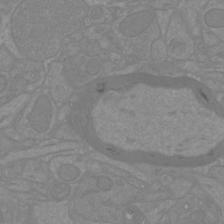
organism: Mouse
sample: Cortical neurons